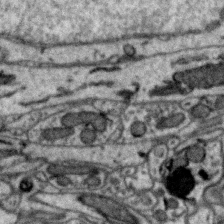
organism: Zebra finch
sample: Brain